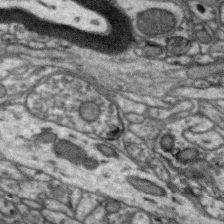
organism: Zebra finch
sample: Brain